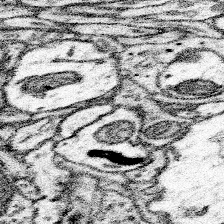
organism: Mouse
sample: Somatosensory cortex neuropil